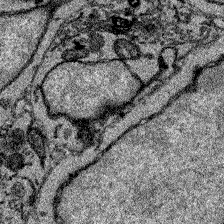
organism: Zebrafish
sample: Larval olfactory bulb